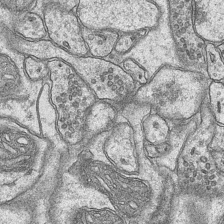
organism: Mouse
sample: CA1 Hippocampus